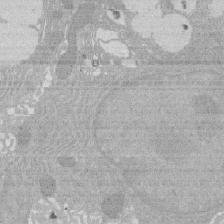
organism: Rat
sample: Salivary granule